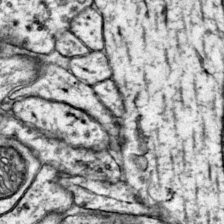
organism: Mouse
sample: Primary visual cortex